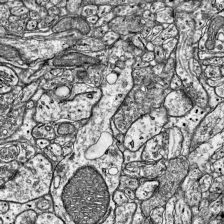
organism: Mouse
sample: Visual Cortex